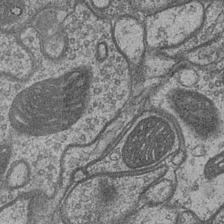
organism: Drosophila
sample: Optic medulla